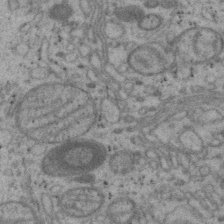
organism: Human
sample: HeLa cells